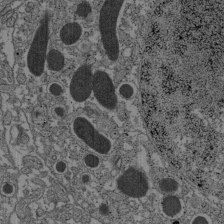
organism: C57BL Mouse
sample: Pancreatic islet